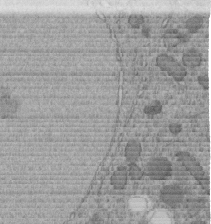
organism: C. elegans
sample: C. elegans embryo early stage